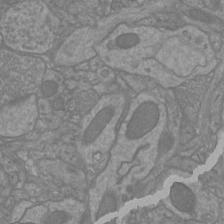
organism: Mouse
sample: Cortical neurons